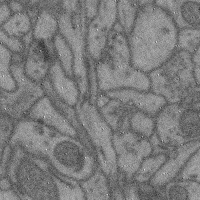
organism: Mouse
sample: Cerebral cortex